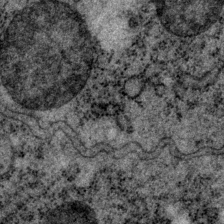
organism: P. pacificus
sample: Pharynx